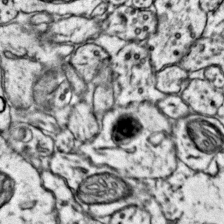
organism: Mouse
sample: Primary visual cortex